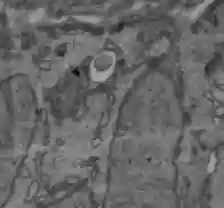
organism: C57BL Mouse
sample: Liver